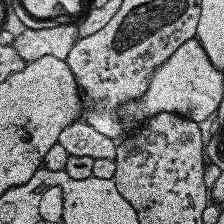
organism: Human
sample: Temporal Lobe